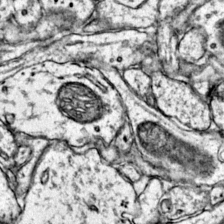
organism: Mouse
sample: Primary visual cortex